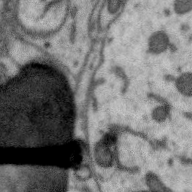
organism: Zebra finch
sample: Brain